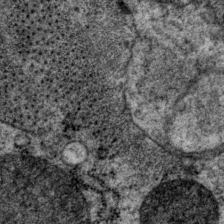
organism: P. pacificus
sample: Pharynx